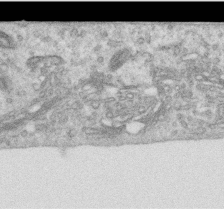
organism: Human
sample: Centriole in RPE cells